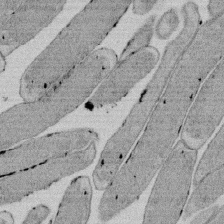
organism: E. coli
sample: Bacterial nucleoid